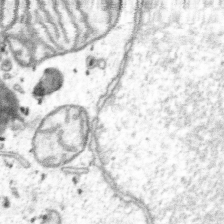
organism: Human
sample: HeLa cells